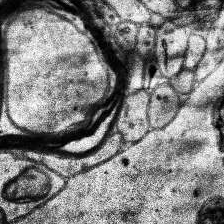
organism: Human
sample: Temporal Lobe